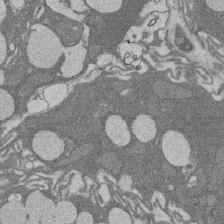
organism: Rat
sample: Salivary granule